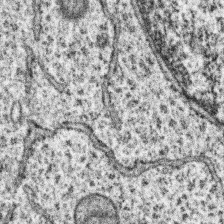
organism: Human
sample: HeLa cells